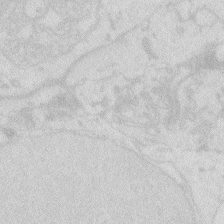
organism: Zebrafish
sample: Macrophage